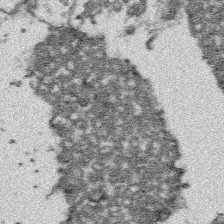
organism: Platynereis dumerilii